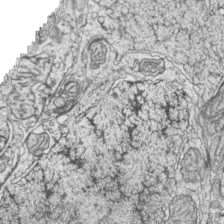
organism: Zebrafish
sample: synaptic ribbons in rod cells and cone cells